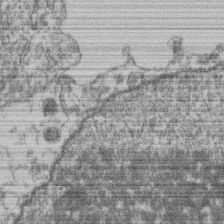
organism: Mouse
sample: T cell stromal cell synapse